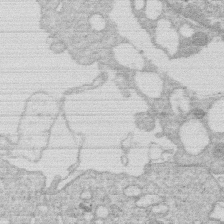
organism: Human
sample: Macrophage cells